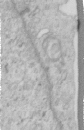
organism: Human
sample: Centriole in RPE cells